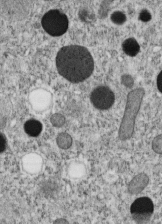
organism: C. elegans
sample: C. elegans embryo early stage